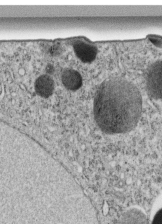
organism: C. elegans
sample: C. elegans embryo early stage